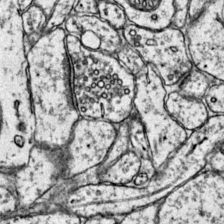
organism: Mouse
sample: Primary visual cortex